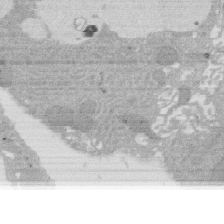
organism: Rat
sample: Salivary granule